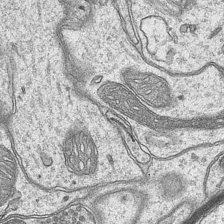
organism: Mouse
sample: CA1 Hippocampus